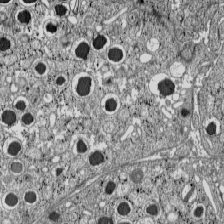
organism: C57BL Mouse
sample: Pancreatic islet